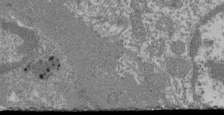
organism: Mouse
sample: Glomerulus